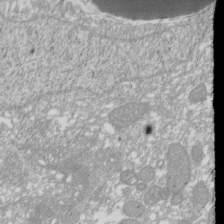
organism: Xenopus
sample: Cilia; centrioles in frog embryo cells